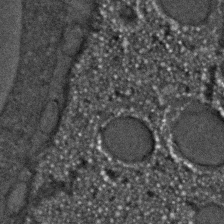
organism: C. elegans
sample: C. elegans embryo